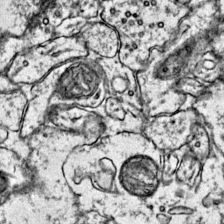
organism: Mouse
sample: Primary visual cortex